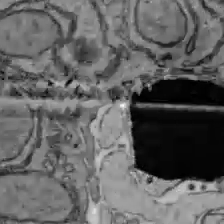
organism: C57BL Mouse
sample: Liver